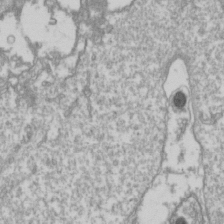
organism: Drosophila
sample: Cell division; meiosis; drosophila spermatocytes